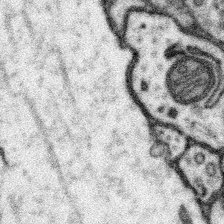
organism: Mouse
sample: Somatosensory cortex neuropil